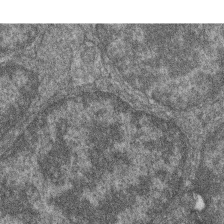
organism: Zebrafish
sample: Cilia; retinal pigment epithelium